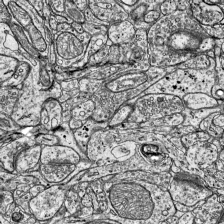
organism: Mouse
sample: Visual Cortex